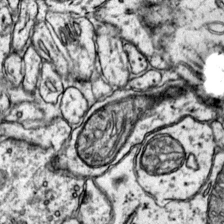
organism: Mouse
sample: Primary visual cortex